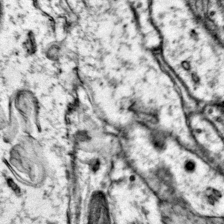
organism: Mouse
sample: Primary visual cortex